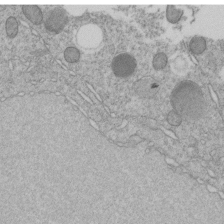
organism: C. elegans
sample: C. elegans embryo early stage